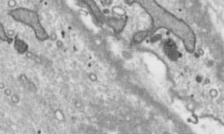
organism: Toxoplasma gondii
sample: Parasites in a vacuole inside a host cell